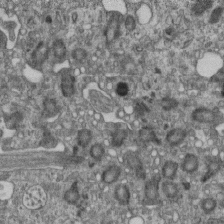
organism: Mouse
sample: Centriole in ependymal cells